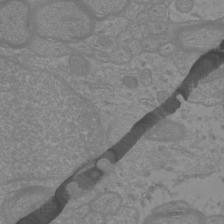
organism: Mouse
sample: Cortical neurons